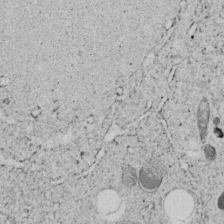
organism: C. elegans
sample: C. elegans embryo early stage